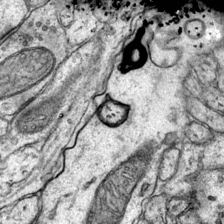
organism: Mouse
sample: Primary visual cortex